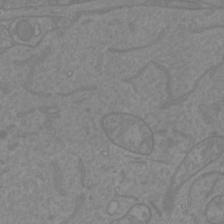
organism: Mouse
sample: Cortical neurons